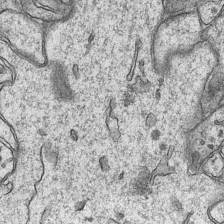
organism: Mouse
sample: CA1 Hippocampus